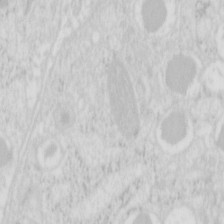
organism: Mouse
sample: Pancreas